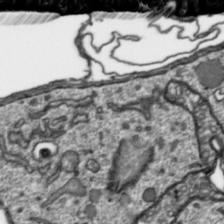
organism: Toxoplasma gondii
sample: Parasites in a vacuole inside a host cell